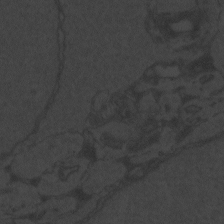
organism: Zebrafish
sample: Macrophage infected with Toxoplasma gondii